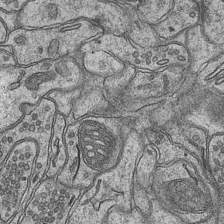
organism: Mouse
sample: CA1 Hippocampus